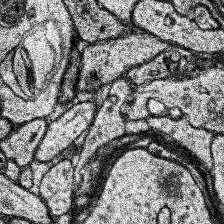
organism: Human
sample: Temporal Lobe